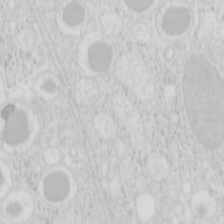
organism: Mouse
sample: Pancreas